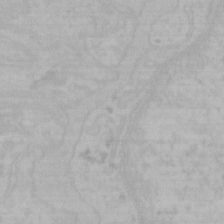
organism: Mouse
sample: Choroid plexus